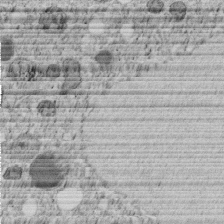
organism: C. elegans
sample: C. elegans embryo early stage